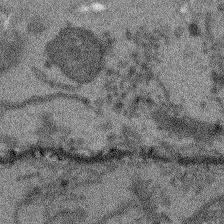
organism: Arabidopsis thaliana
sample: Root tip